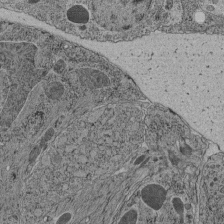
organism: C. elegans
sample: C. elegans pharynx